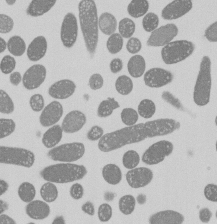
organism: E. coli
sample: Bacterial nucleoid